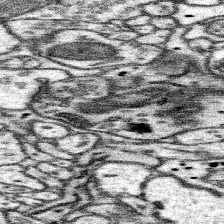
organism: Mouse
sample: Somatosensory cortex neuropil